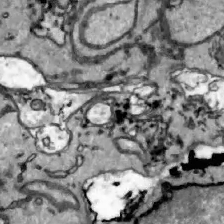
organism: Zebrafish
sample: Actinotrichia fibers